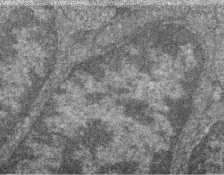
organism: Zebrafish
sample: Cilia; retinal pigment epithelium